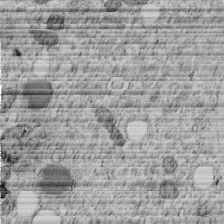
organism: C. elegans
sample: C. elegans embryo early stage